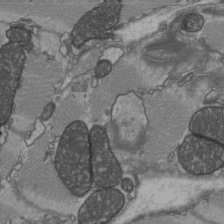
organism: C57BL Mouse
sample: Heart